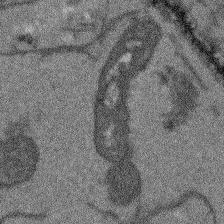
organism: Arabidopsis thaliana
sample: Root tip